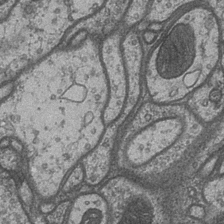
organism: Drosophila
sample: Optic medulla